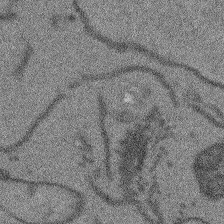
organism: Arabidopsis thaliana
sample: Root tip